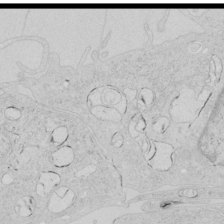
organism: Human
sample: Mitochondria in HCT116 cells